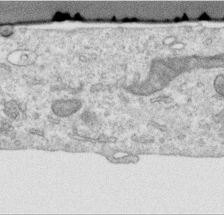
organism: Human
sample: Centriole in RPE cells